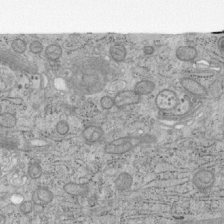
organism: Human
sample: HeLa cells